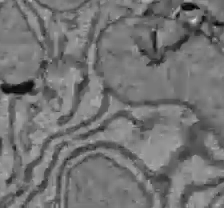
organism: C57BL Mouse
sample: Liver